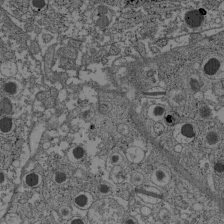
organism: C57BL Mouse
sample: Pancreatic islet